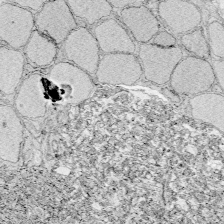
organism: Zebrafish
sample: Whole-Brain